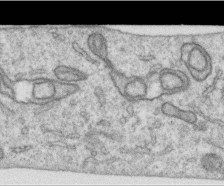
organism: Human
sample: Centriole in RPE cells